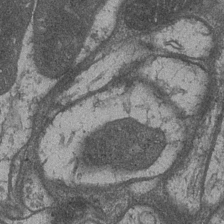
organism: Drosophila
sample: Optic medulla